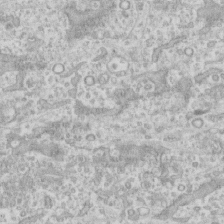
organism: Human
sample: CRL-1474